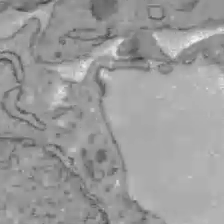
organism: C57BL Mouse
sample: Liver